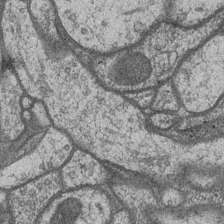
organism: Drosophila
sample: Optic medulla